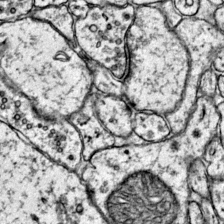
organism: Mouse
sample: Primary visual cortex